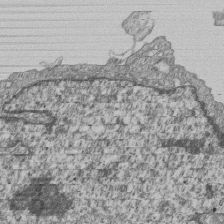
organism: Human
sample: MDA-MB-231 cells